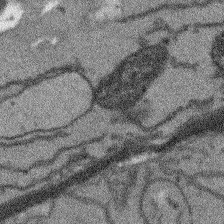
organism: Arabidopsis thaliana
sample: Root tip